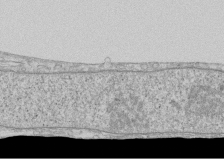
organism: Human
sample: CRL-1474